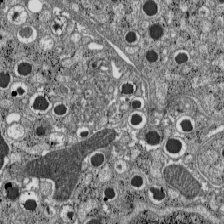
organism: C57BL Mouse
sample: Pancreatic islet